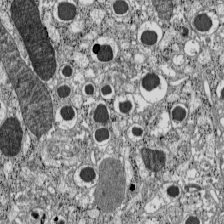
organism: C57BL Mouse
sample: Pancreatic islet